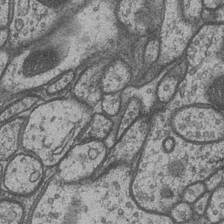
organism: Drosophila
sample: Optic medulla